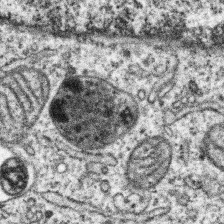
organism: Human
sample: HeLa cells